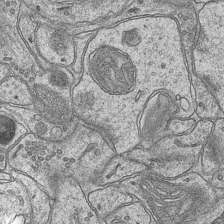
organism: Mouse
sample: CA1 Hippocampus